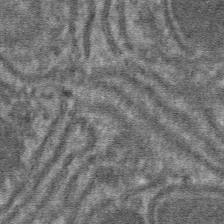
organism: Mouse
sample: Mouse hepatocytes